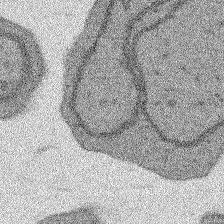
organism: Human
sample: HeLa cells